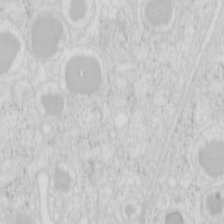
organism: Mouse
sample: Pancreas